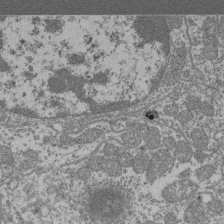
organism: Mouse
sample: Glomerulus